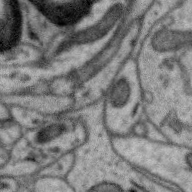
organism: Zebra finch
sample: Brain